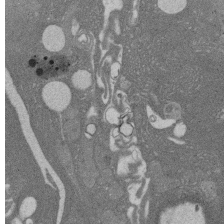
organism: Rat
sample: Salivary granule